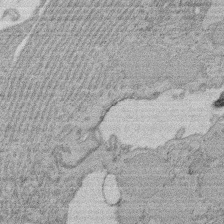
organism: Rat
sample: Salivary granule